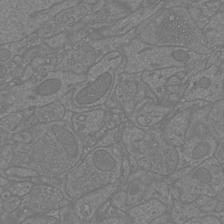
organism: Mouse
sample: Cortical neurons